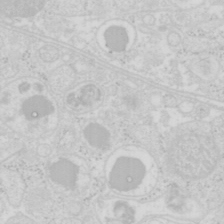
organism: Mouse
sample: Pancreas